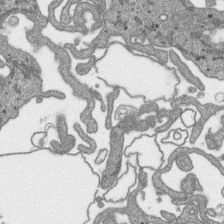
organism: Human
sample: Lung epithelial cells infected with SARS-CoV-2